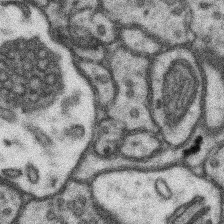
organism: Mouse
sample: Somatosensory cortex neuropil